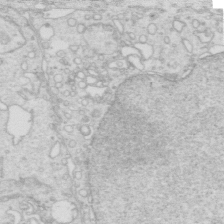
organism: Mouse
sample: Multiciliated cells